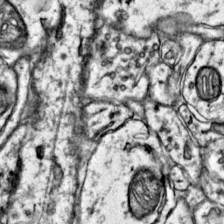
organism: Mouse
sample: Primary visual cortex